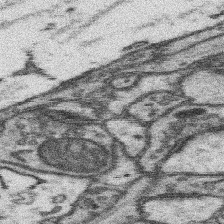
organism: Mouse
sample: Somatosensory cortex neuropil